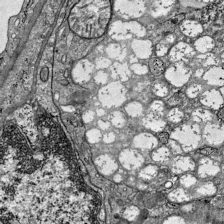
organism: Mouse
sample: Visual Cortex